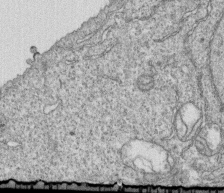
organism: Human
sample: HeLa cell HIV synapse